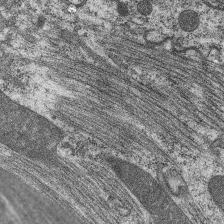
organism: C. elegans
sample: Pharynx